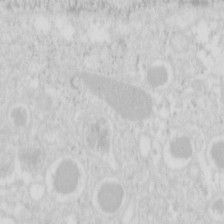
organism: Mouse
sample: Pancreas